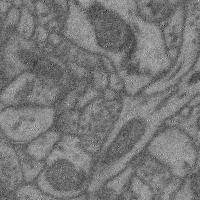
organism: Mouse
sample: Cerebral cortex